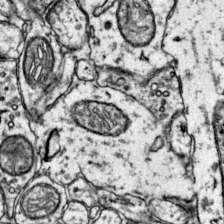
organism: Mouse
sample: Primary visual cortex